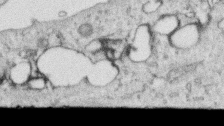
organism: Human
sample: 1205lu cells